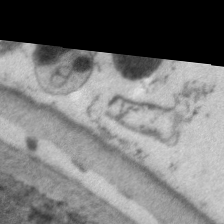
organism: C. elegans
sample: Pharynx